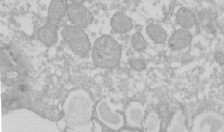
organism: Xenopus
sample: Cilia; centrioles in frog embryo cells